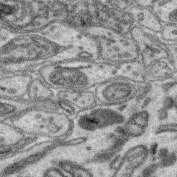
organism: Mouse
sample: Retina